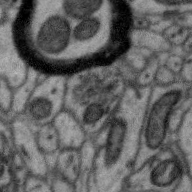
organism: Zebra finch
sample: Brain